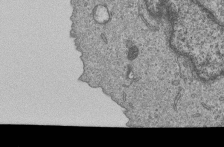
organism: Human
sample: MDA-MB-231 cells